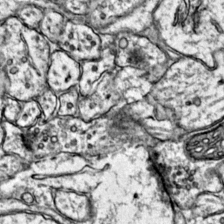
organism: Mouse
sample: Primary visual cortex